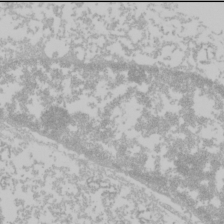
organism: Mouse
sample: Cancer cell death in ED-1 cells